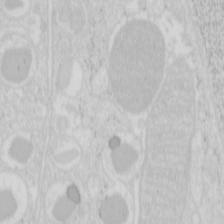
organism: Mouse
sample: Pancreas